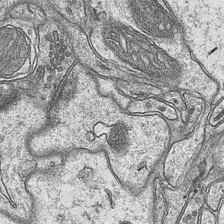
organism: Mouse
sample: CA1 Hippocampus